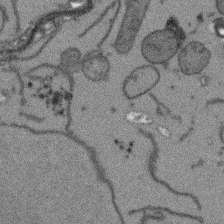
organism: Arabidopsis thaliana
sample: Root tip